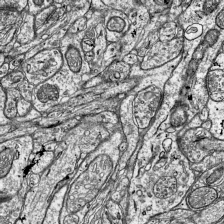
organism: Mouse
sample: Visual Cortex